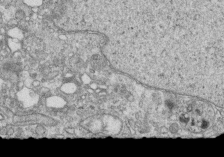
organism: Human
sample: HeLa cell HIV synapse